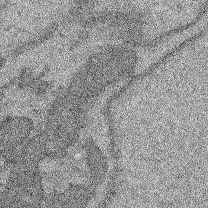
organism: Human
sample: HeLa cells